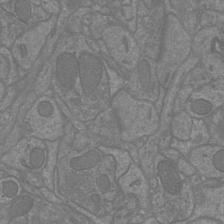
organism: Mouse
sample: Cortical neurons